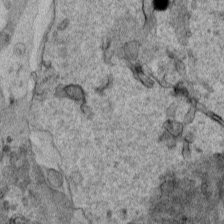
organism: Human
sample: Mitochondria in HCT116 cells